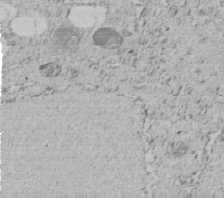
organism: C. elegans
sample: C. elegans embryo early stage